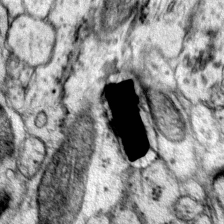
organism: Mouse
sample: Primary visual cortex